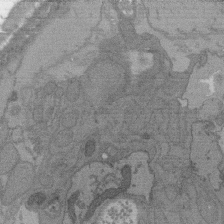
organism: C. elegans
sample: AFD neurons C. elegans